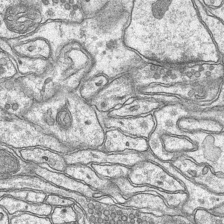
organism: Mouse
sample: CA1 Hippocampus